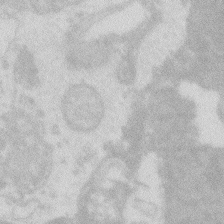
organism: Zebrafish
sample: Macrophage